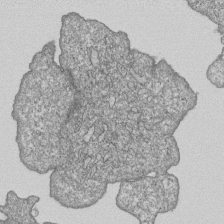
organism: Human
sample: MDA-MB-231 cells